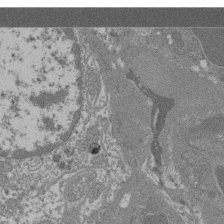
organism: Mouse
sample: Glomerulus